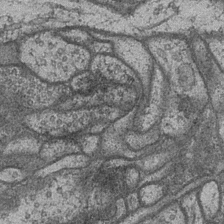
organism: Drosophila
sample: Optic medulla